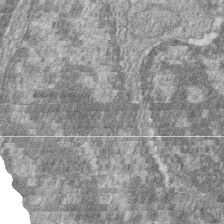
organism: Zebrafish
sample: Cilia; retinal pigment epithelium